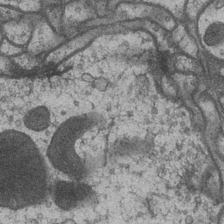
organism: Drosophila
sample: Optic medulla